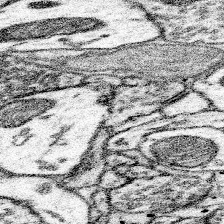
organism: Mouse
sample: Somatosensory cortex neuropil